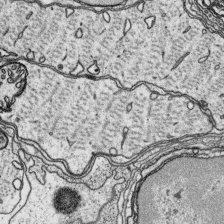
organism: Platynereis dumerilii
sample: Parapodia